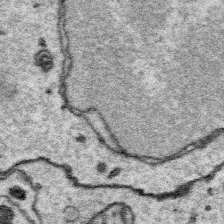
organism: Platynereis dumerilii